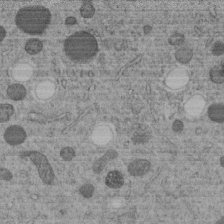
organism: C. elegans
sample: C. elegans embryo early stage